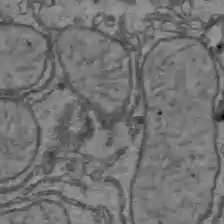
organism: C57BL Mouse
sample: Liver